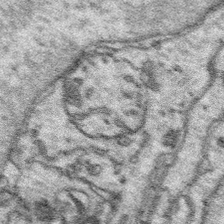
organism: Platynereis dumerilii